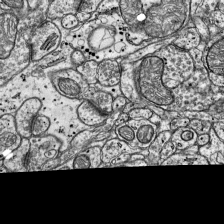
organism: Mouse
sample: Visual Cortex